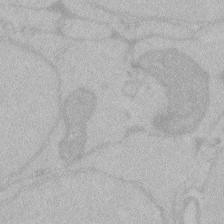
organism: Zebrafish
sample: Macrophage infected with Toxoplasma gondii